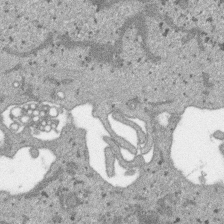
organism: Human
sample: Lung epithelial cells infected with SARS-CoV-2